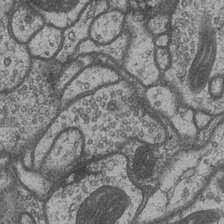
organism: Drosophila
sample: Optic medulla